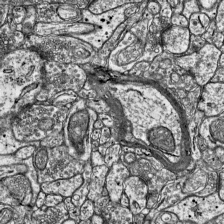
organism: Mouse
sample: Visual Cortex